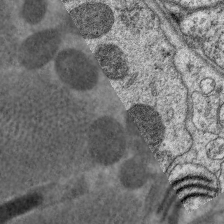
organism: C. elegans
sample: Pharynx